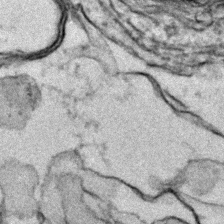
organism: Zebrafish